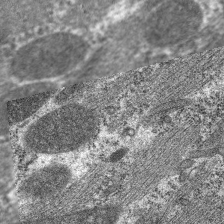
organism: C. elegans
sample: Pharynx